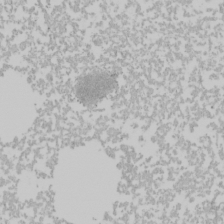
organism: Mouse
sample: Cancer cell death in ED-1 cells